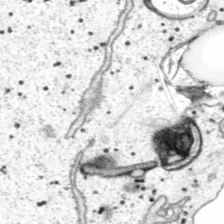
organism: Human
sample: HeLa cells